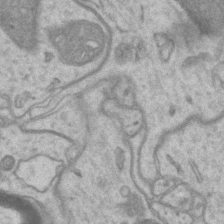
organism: Mouse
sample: CA1 Hippocampus